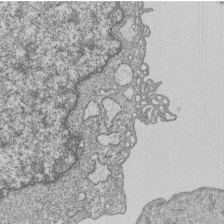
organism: Human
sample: MDA-MB-231 cells